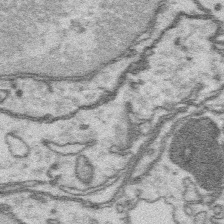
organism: Platynereis dumerilii